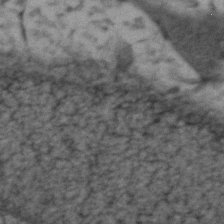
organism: Zebrafish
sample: Zebrafish embryo